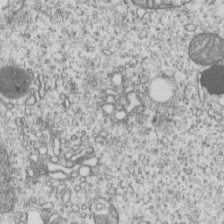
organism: Human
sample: MDA-MB-231 cells